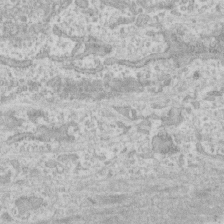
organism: Human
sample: CRL-1474